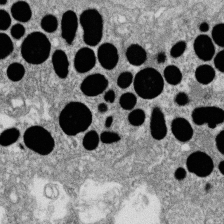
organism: Zebrafish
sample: Cilia; retinal pigment epithelium